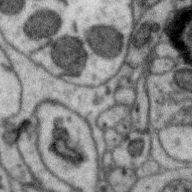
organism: Zebra finch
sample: Brain